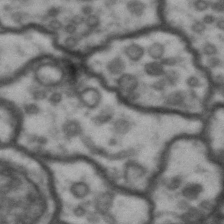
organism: Drosophila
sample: Brain